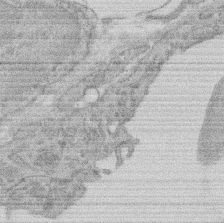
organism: Rat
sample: Salivary granule